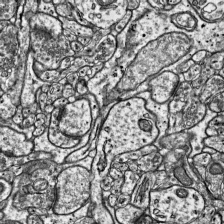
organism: Mouse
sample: Visual Cortex